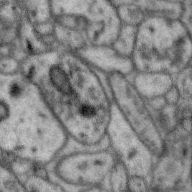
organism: Zebra finch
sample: Brain